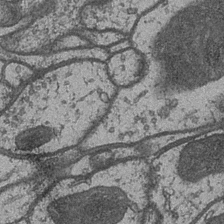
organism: Drosophila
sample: Optic medulla